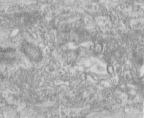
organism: Human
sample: Centriole in fibroblast cells